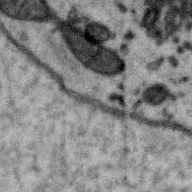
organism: Zebra finch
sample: Brain